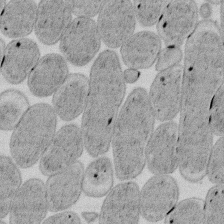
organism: E. coli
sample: Bacterial nucleoid